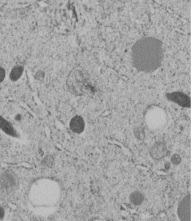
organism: C. elegans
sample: C. elegans embryo early stage